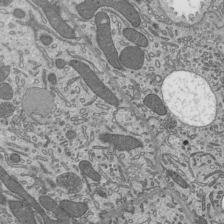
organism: Mouse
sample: Mouse epididymis efferent ductule cilia